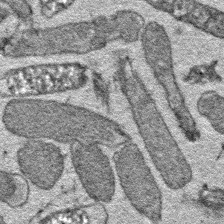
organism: E. coli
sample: E. Coli Bacteria